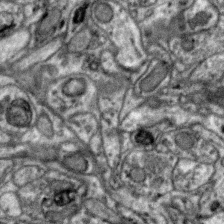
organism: Zebra finch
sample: Brain